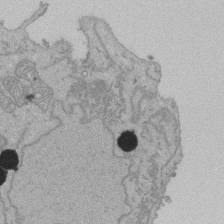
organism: Human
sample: Activated Jurkat CD4+ T cells